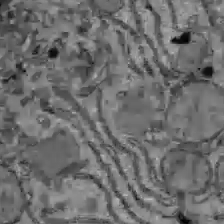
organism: C57BL Mouse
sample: Liver